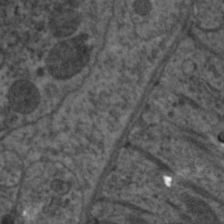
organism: C. elegans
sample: Pharynx